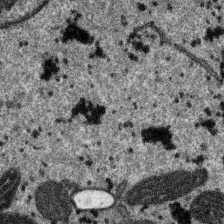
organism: Human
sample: Lung epithelial cells infected with SARS-CoV-2